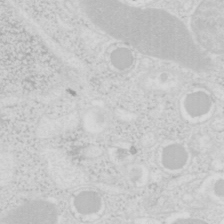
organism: Mouse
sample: Pancreas